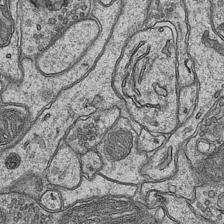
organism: Mouse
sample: CA1 Hippocampus